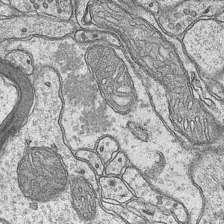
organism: Mouse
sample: CA1 Hippocampus